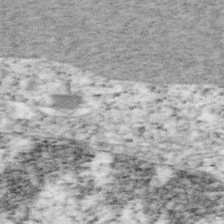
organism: Mouse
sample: OT-I killer T cells with ID8 ovarian cancer cells